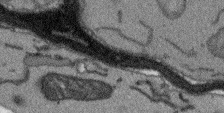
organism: Arabidopsis thaliana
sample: Root tip